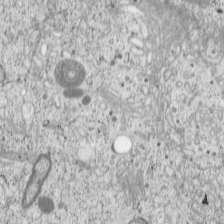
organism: African green monkey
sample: COS-7 cells